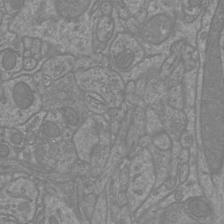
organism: Mouse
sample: Cortical neurons